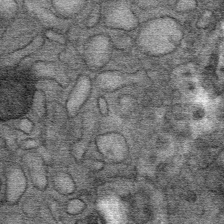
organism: Mouse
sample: Mouse Salivary gland